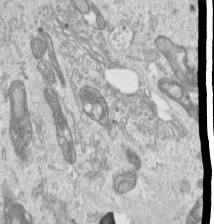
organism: Human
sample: Centriole in RPE cells